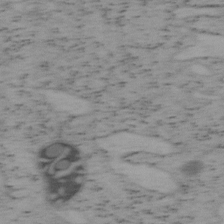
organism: Mouse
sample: OT-I killer T cells with ID8 ovarian cancer cells